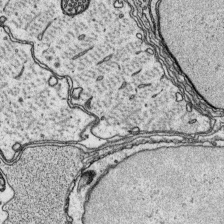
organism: Platynereis dumerilii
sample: Parapodia